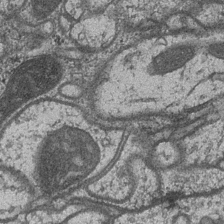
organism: Drosophila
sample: Optic medulla